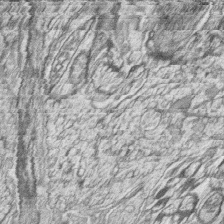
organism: Zebrafish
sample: synaptic ribbons in rod cells and cone cells